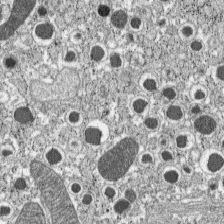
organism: C57BL Mouse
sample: Pancreatic islet